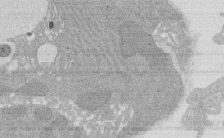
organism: Rat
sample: Salivary granule